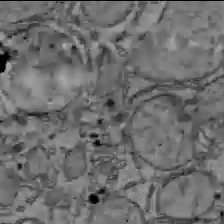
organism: C57BL Mouse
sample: Liver